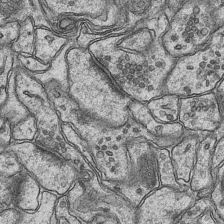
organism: Mouse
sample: CA1 Hippocampus